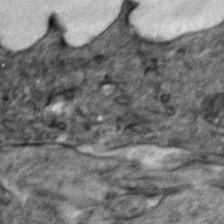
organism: Zebrafish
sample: Zebrafish embryo